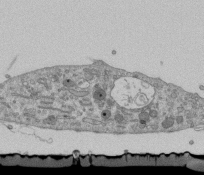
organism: Mouse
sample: ED-1 cell nuclei; centrioles